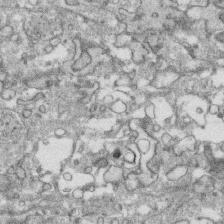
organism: Human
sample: CRL-1474